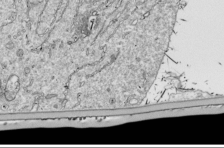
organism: Drosophila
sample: Cell division; meiosis; drosophila spermatocytes